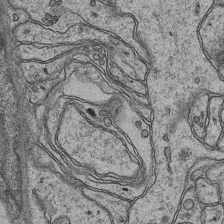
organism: Mouse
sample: CA1 Hippocampus